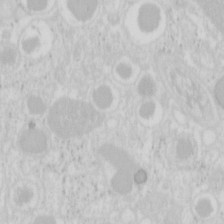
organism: Mouse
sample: Pancreas